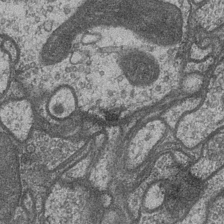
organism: Drosophila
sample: Optic medulla